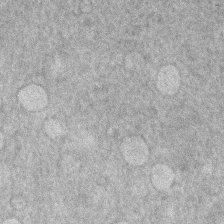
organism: Human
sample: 1205lu cells